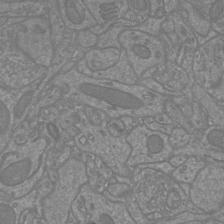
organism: Mouse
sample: Cortical neurons